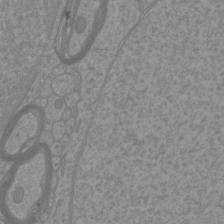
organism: Mouse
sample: Cortical neurons